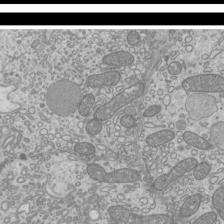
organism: Mouse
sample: Cilia; mouse epididymis